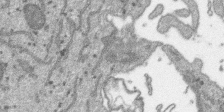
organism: Human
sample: Lung epithelial cells infected with SARS-CoV-2